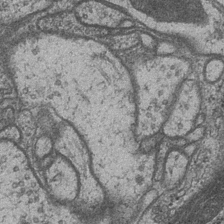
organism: Drosophila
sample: Optic medulla